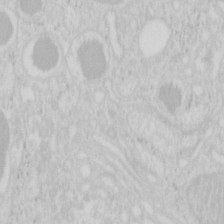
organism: Mouse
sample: Pancreas